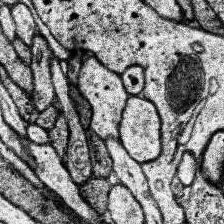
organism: Human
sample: Temporal Lobe